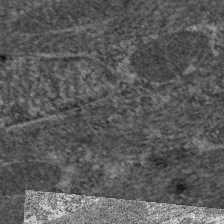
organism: C. elegans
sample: Pharynx